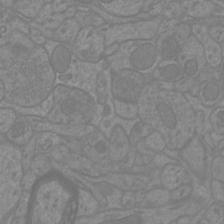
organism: Mouse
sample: Cortical neurons